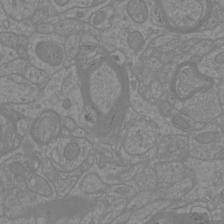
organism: Mouse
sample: Cortical neurons